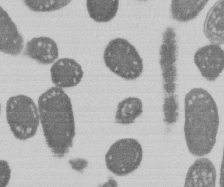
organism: E. coli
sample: Bacterial nucleoid